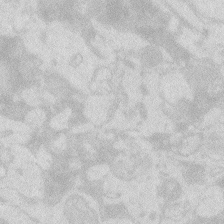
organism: Zebrafish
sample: Macrophage